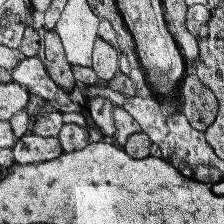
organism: Human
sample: Temporal Lobe